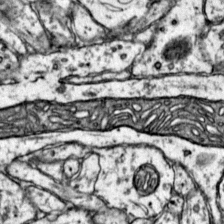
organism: Mouse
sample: Primary visual cortex